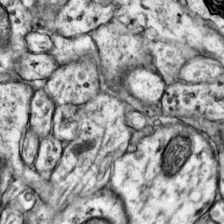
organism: Mouse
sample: Primary visual cortex